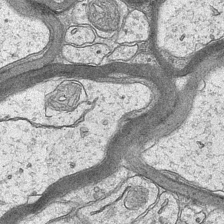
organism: Mouse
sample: CA1 Hippocampus